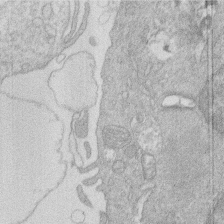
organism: Human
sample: Macrophage cells